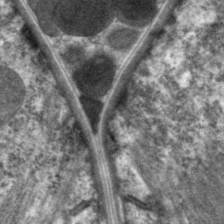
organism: C. elegans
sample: Pharynx